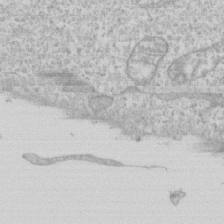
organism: Human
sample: CRL-1474